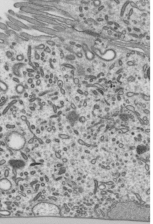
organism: Mouse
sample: Mouse epididymis efferent ductule cilia